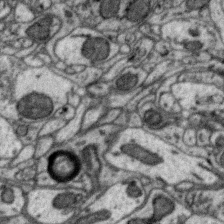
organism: Zebra finch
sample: Brain